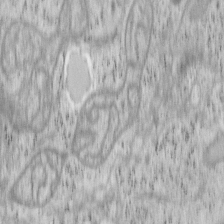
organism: Human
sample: HeLa cells